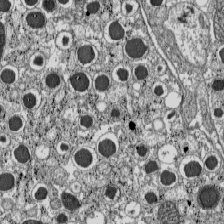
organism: C57BL Mouse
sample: Pancreatic islet